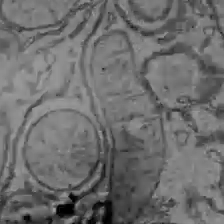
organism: C57BL Mouse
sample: Liver